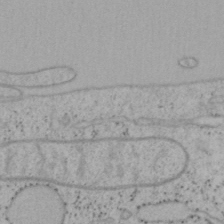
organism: Human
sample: HeLa cells